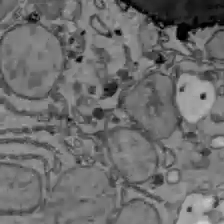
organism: C57BL Mouse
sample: Liver